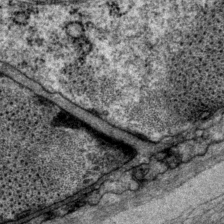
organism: P. pacificus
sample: Pharynx